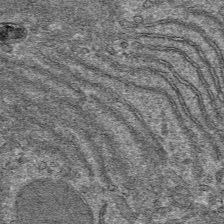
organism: Mouse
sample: Mouse hepatocytes